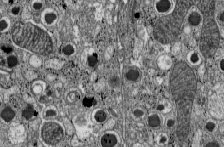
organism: C57BL Mouse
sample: Pancreatic islet